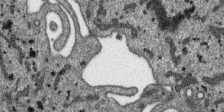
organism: Human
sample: Lung epithelial cells infected with SARS-CoV-2